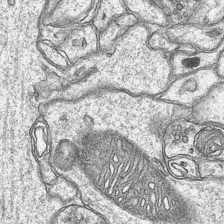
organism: Mouse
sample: CA1 Hippocampus